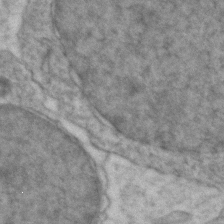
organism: Zebrafish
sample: Zebrafish embryo